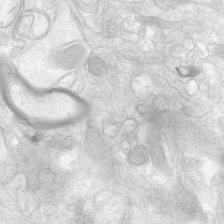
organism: Human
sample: Neocortex